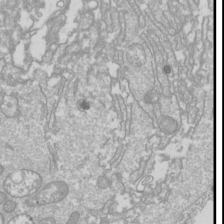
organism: Drosophila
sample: Cell division; meiosis; drosophila spermatocytes